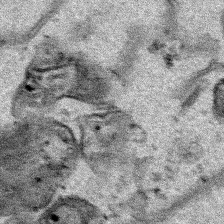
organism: Human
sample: Mitochondria in HCT116 cells